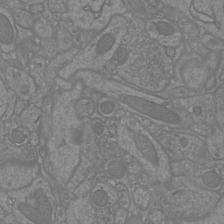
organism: Mouse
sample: Cortical neurons